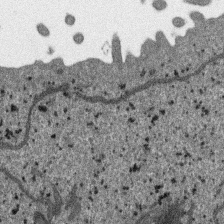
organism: Human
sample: Lung epithelial cells infected with SARS-CoV-2